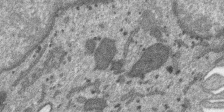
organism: Human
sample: Lung epithelial cells infected with SARS-CoV-2